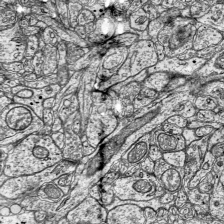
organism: Mouse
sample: Visual Cortex